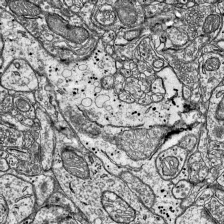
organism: Mouse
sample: Visual Cortex